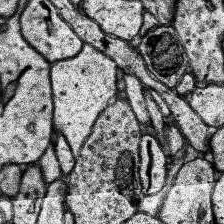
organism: Human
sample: Temporal Lobe